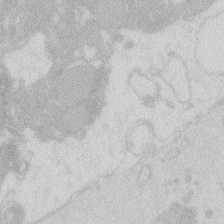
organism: Zebrafish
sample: Macrophage